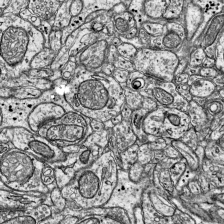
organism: Mouse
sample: Visual Cortex